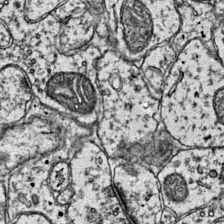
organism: Mouse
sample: Primary visual cortex